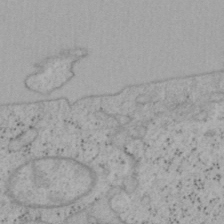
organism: Human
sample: HeLa cells